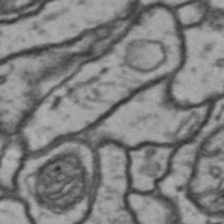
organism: Drosophila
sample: Brain